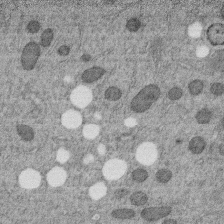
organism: C. elegans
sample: C. elegans embryo early stage